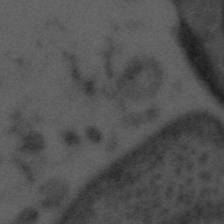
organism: Tuwongella immobilis